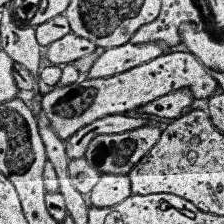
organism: Human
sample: Temporal Lobe